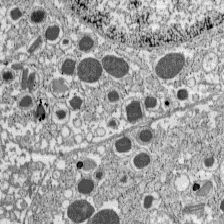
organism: C57BL Mouse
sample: Pancreatic islet